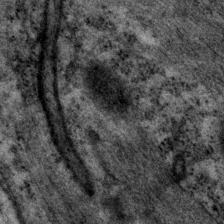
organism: P. pacificus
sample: Pharynx